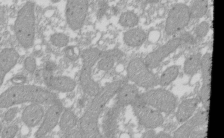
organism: Xenopus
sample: Cilia; centrioles in frog embryo cells